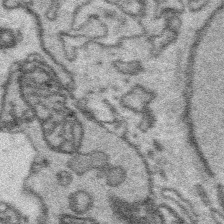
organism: Platynereis dumerilii